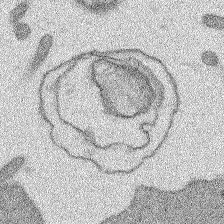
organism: Human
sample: HeLa cells